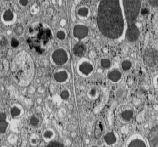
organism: C57BL Mouse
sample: Pancreatic islet